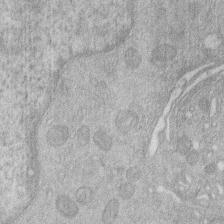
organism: Human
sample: Macrophage cells